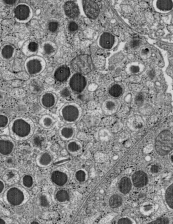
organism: C57BL Mouse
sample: Pancreatic islet